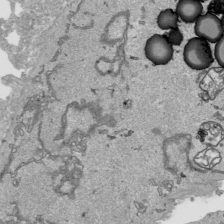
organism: Human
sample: Mitochondria in HCT116 cells